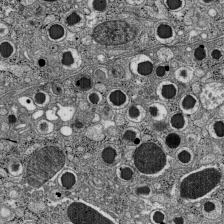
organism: C57BL Mouse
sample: Pancreatic islet